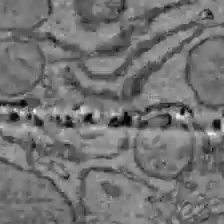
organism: C57BL Mouse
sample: Liver